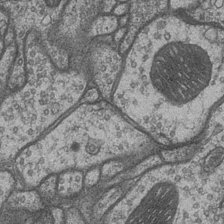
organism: Drosophila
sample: Optic medulla